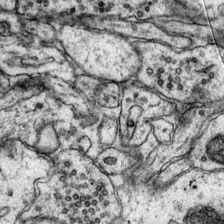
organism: Mouse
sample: Primary visual cortex